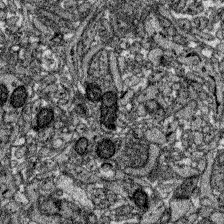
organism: Zebrafish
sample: Larval olfactory bulb